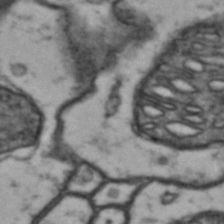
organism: Drosophila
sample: Brain